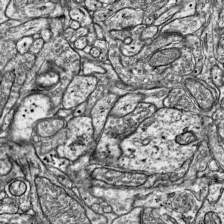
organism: Mouse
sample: Visual Cortex